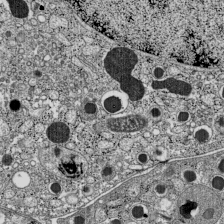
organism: C57BL Mouse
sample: Pancreatic islet